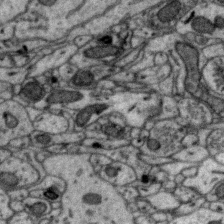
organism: Zebra finch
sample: Brain